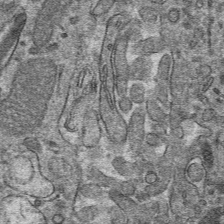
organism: Mouse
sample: Mouse hepatocytes